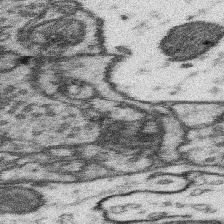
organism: Mouse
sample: Somatosensory cortex neuropil